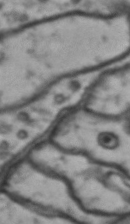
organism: Drosophila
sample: Brain